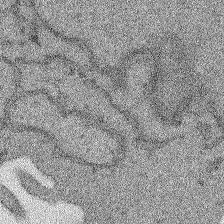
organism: Human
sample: HeLa cells